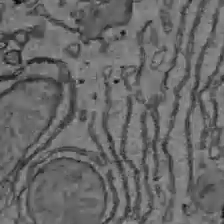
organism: C57BL Mouse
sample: Liver